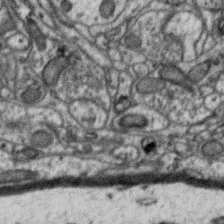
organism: Zebra finch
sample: Brain